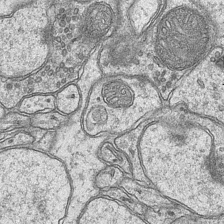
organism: Mouse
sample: CA1 Hippocampus